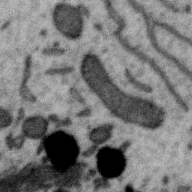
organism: Zebra finch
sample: Brain